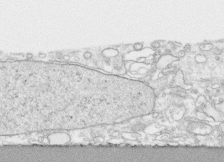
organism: Human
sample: CRL-1474